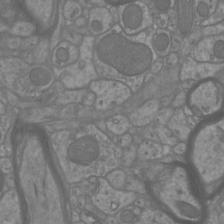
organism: Mouse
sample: Cortical neurons